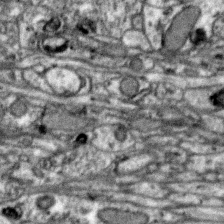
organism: Zebra finch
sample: Brain